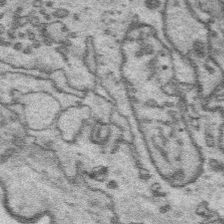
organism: Platynereis dumerilii